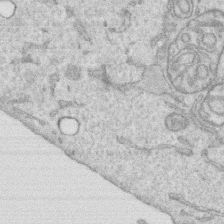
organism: Human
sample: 1205lu cells